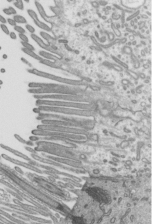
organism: Mouse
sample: Mouse epididymis efferent ductule cilia